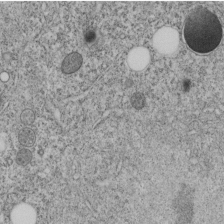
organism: C. elegans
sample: C. elegans embryo early stage